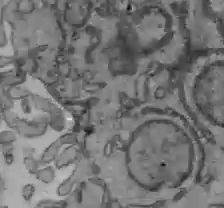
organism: C57BL Mouse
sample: Liver